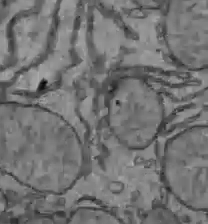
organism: C57BL Mouse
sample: Liver